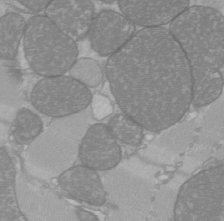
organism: C57BL Mouse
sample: Heart